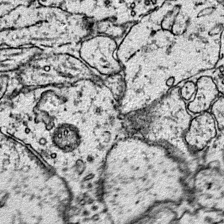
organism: Mouse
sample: Primary visual cortex